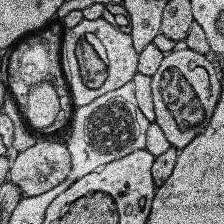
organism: Human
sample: Temporal Lobe